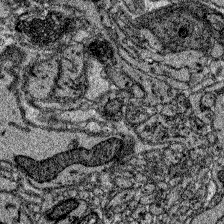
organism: Zebrafish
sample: Larval olfactory bulb